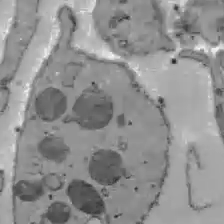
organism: C57BL Mouse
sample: Liver